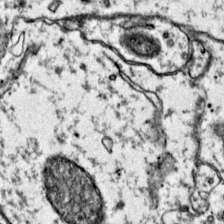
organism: Mouse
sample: Primary visual cortex